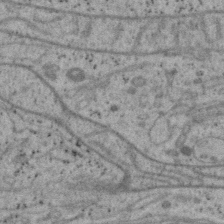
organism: Human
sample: HeLa cells